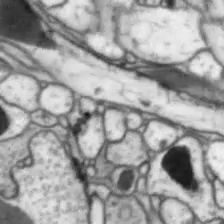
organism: Drosophila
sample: Optic lobe